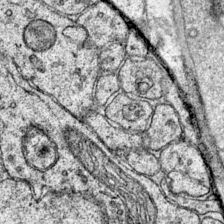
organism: Mouse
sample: Primary visual cortex